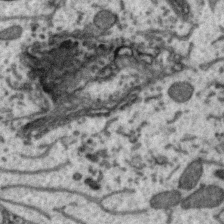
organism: Zebra finch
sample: Brain